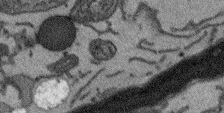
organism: Arabidopsis thaliana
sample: Root tip